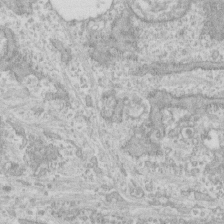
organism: Human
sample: CRL-1474